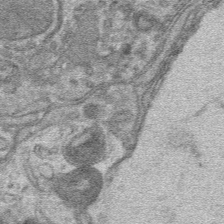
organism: Mouse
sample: Mouse hepatocytes